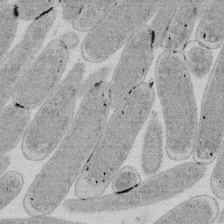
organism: E. coli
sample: Bacterial nucleoid